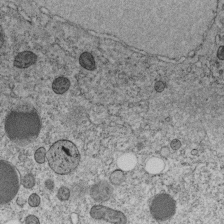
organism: C. elegans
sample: C. elegans embryo early stage